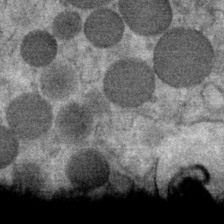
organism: Mouse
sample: Mouse Salivary gland